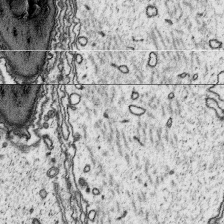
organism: Platynereis dumerilii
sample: Parapodia